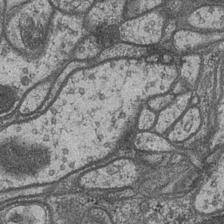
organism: Drosophila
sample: Optic medulla